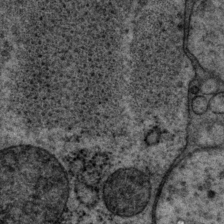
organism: P. pacificus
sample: Pharynx